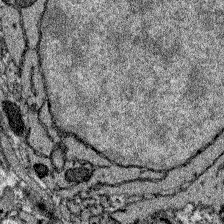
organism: Zebrafish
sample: Larval olfactory bulb